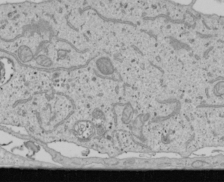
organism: Human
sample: Mitochondria in U2OS cells